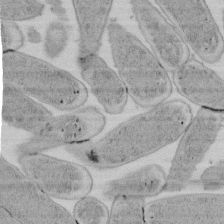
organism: E. coli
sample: Bacterial nucleoid